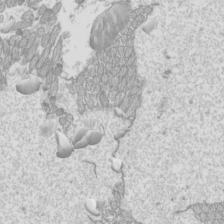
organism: Mouse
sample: Cilia; mouse epididymis